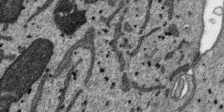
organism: Human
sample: Lung epithelial cells, uninfected (mock) control